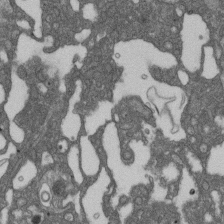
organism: Drosophila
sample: Nephrocyte